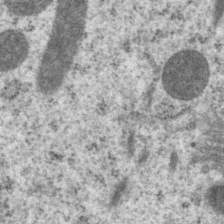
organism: P. pacificus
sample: Pharynx